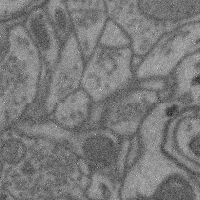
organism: Mouse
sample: Cerebral cortex